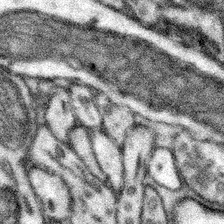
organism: Mouse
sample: Somatosensory cortex neuropil